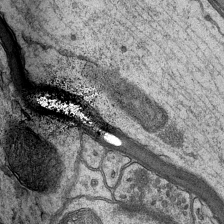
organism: Mouse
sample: CA1 Hippocampus